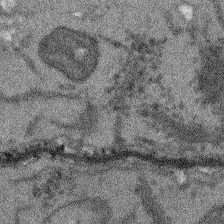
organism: Arabidopsis thaliana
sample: Root tip